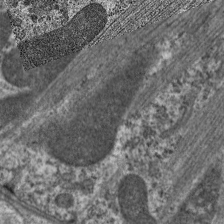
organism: C. elegans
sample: Pharynx